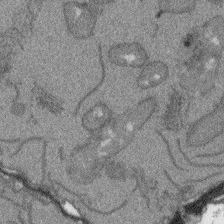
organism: Arabidopsis thaliana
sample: Root tip